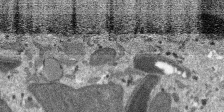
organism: Human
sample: Lung epithelial cells infected with SARS-CoV-2